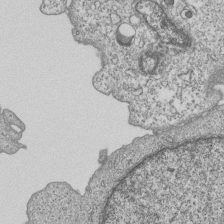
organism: Human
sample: MDA-MB-231 cells